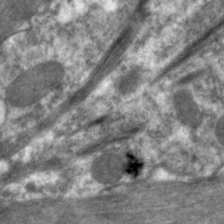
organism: C. elegans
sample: Pharynx